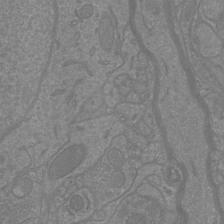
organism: Mouse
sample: Cortical neurons